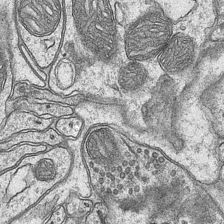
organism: Mouse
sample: CA1 Hippocampus